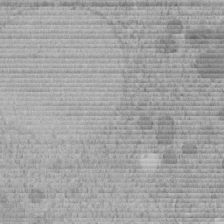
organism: C. elegans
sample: C. elegans embryo early stage